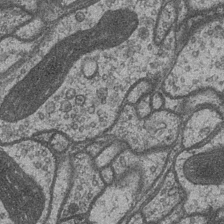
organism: Drosophila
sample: Optic medulla